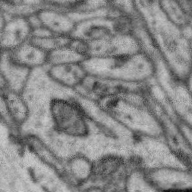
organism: Zebra finch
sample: Brain